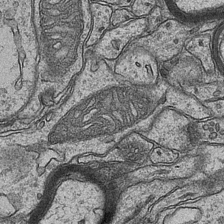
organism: Mouse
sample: CA1 Hippocampus